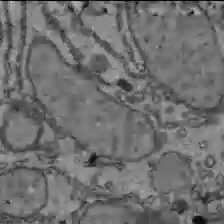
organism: C57BL Mouse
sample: Liver